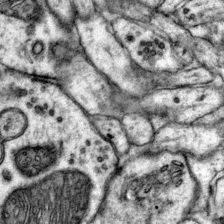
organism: Mouse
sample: Primary visual cortex